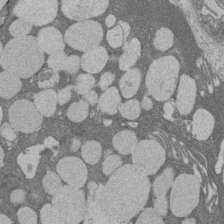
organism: Rat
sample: Salivary granule